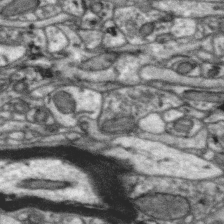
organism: Zebra finch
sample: Brain